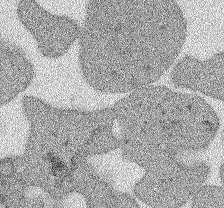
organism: Human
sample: HeLa cells